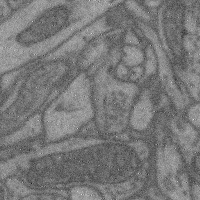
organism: Mouse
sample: Cerebral cortex